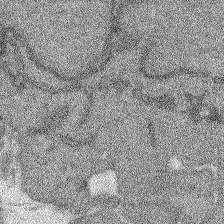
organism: Human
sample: HeLa cells